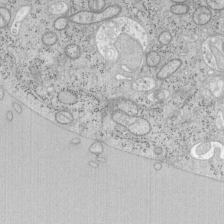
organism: Mouse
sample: OT-I killer T cells with ID8 ovarian cancer cells